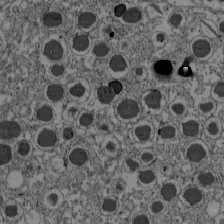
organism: C57BL Mouse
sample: Pancreatic islet